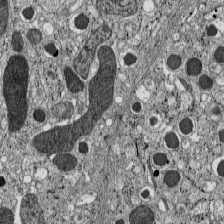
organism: C57BL Mouse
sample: Pancreatic islet